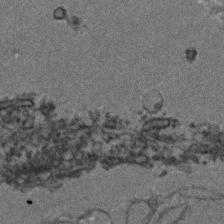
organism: Zebrafish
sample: Zebrafish embryo